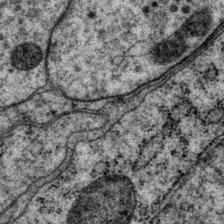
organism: P. pacificus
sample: Pharynx